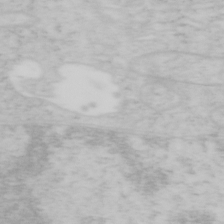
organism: Mouse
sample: OT-I killer T cells with ID8 ovarian cancer cells